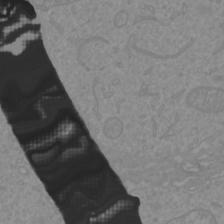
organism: Mouse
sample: Cortical neurons